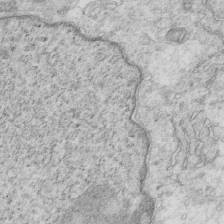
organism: Mouse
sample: Multiciliated cells